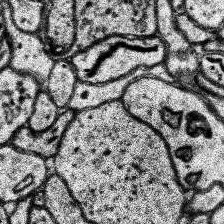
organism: Human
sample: Temporal Lobe